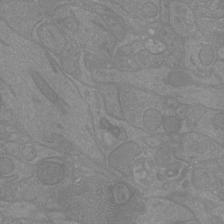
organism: Mouse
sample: Cortical neurons